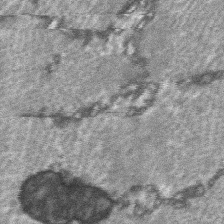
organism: C57BL Mouse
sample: Soleus